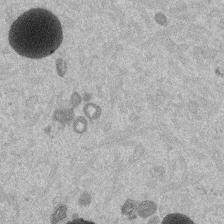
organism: Mouse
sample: Dividing mouse embryo 1 cell stage